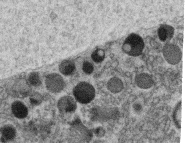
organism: C. elegans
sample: C. elegans oocyte; sperm cells